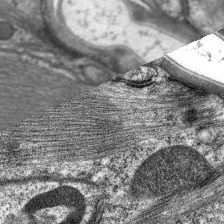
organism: C. elegans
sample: Pharynx